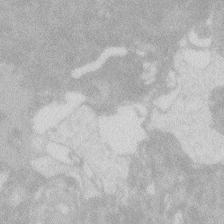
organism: Zebrafish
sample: Macrophage